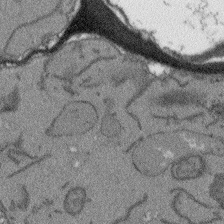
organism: Arabidopsis thaliana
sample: Root tip